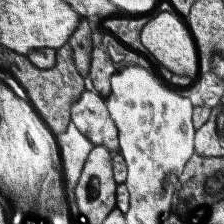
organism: Human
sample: Temporal Lobe